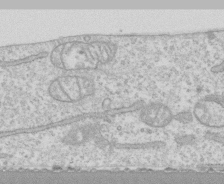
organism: Human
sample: CRL-1474